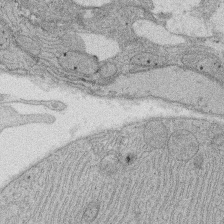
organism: Rat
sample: Salivary granule